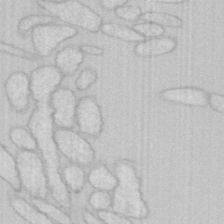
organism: Human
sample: HeLa cells